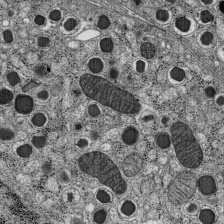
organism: C57BL Mouse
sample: Pancreatic islet